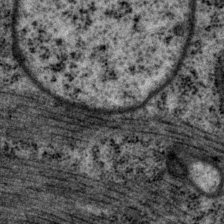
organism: P. pacificus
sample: Pharynx